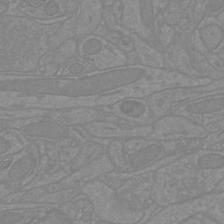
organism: Mouse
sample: Cortical neurons